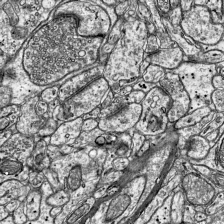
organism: Mouse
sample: Visual Cortex